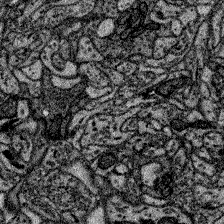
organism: Zebrafish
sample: Larval olfactory bulb